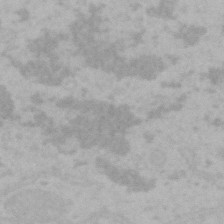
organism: Mouse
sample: Choroid plexus